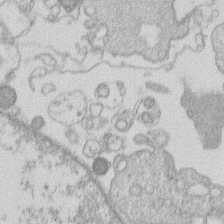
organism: Human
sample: Macrophage cells